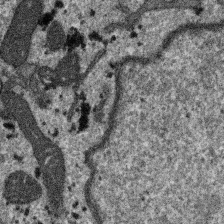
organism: Human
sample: Lung epithelial cells infected with SARS-CoV-2